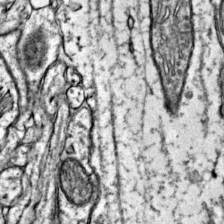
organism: Mouse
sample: Primary visual cortex